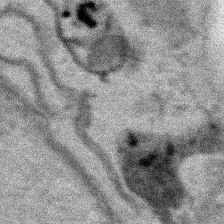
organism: Human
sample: Mitochondria in HCT116 cells